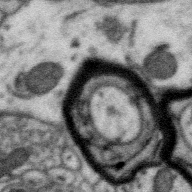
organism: Zebra finch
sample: Brain